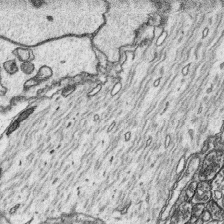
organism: Platynereis dumerilii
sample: Parapodia